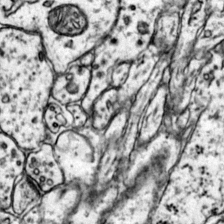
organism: Mouse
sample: Primary visual cortex